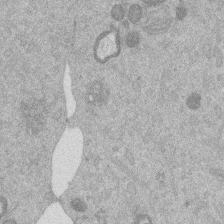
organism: Mouse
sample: Dividing mouse embryo 1 cell stage